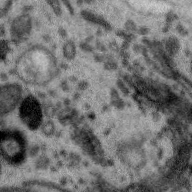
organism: Zebra finch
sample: Brain